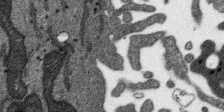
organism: Human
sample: Lung epithelial cells infected with SARS-CoV-2